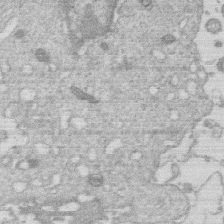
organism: Human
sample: Macrophage cells